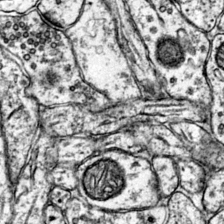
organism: Mouse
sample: Primary visual cortex